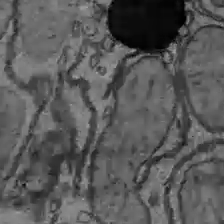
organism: C57BL Mouse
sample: Liver